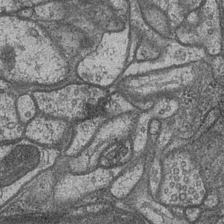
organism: Drosophila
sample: Optic medulla